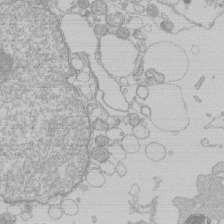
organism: Human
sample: Macrophage cells